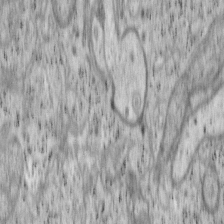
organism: Human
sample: HeLa cells